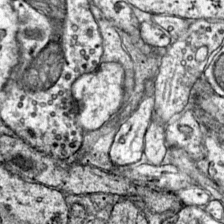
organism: Mouse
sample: Primary visual cortex